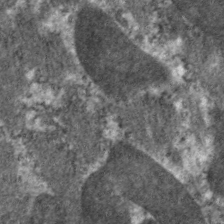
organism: C. elegans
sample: Pharynx